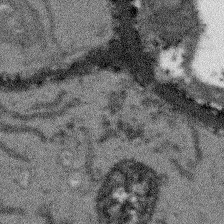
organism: Arabidopsis thaliana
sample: Root tip